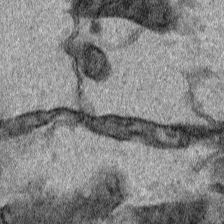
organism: Human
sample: Mitochondria in HCT116 cells